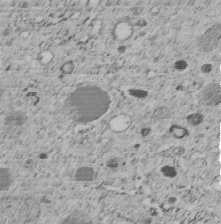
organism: C. elegans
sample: C. elegans embryo early stage